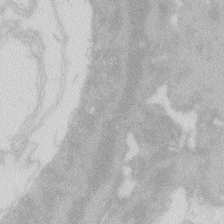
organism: Zebrafish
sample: Macrophage